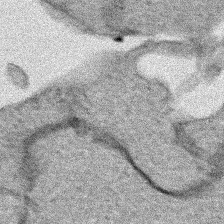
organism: Human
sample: Mitochondria in HCT116 cells